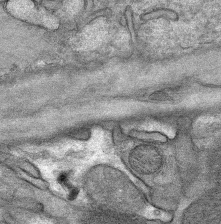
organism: Mouse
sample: Mouse Salivary gland